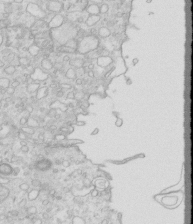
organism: Mouse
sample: Multiciliated cells